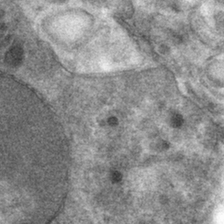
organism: Mouse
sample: Mouse hepatocytes